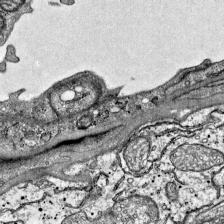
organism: Mouse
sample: Visual Cortex